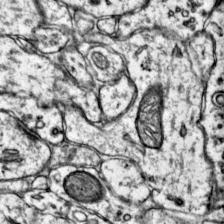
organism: Mouse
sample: Primary visual cortex